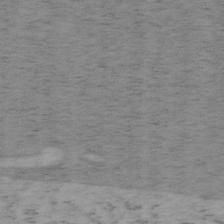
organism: Mouse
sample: OT-I killer T cells with ID8 ovarian cancer cells